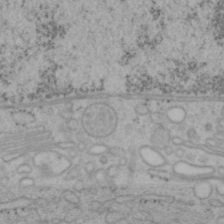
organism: Human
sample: HeLa cells